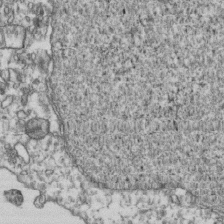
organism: Human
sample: Activated Jurkat CD4+ T cells